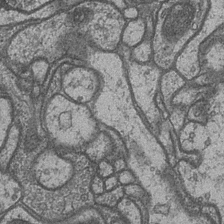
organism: Drosophila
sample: Optic medulla